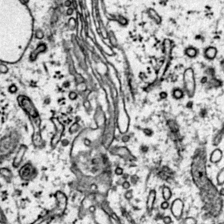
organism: Mouse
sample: Primary visual cortex